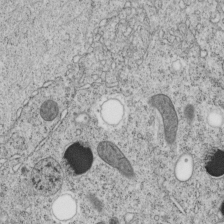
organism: C. elegans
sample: C. elegans embryo early stage